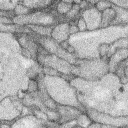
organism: Rabbit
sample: Retina